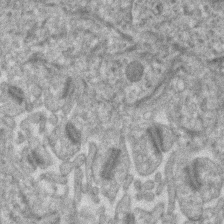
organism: Human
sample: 1205lu cells